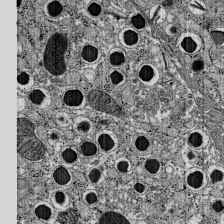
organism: C57BL Mouse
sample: Pancreatic islet